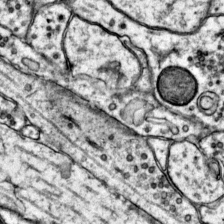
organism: Mouse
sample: Primary visual cortex